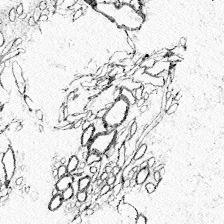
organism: Zebrafish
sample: Whole-Brain